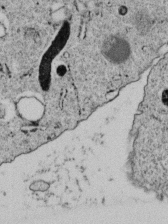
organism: C. elegans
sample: C. elegans embryo early stage